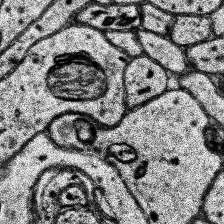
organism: Human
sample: Temporal Lobe